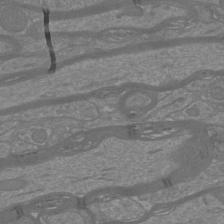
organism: Mouse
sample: Cortical neurons